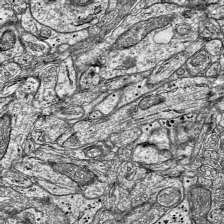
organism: Mouse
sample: Visual Cortex